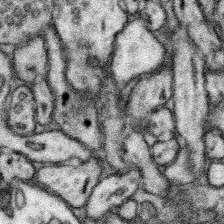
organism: Mouse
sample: Somatosensory cortex neuropil